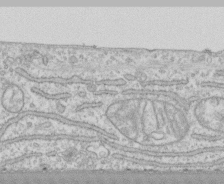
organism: Human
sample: CRL-1474